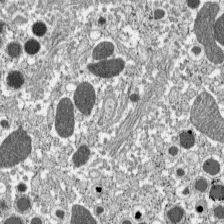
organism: C57BL Mouse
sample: Pancreatic islet